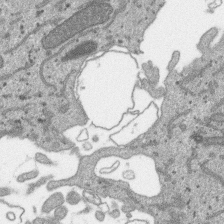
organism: Human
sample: Lung epithelial cells infected with SARS-CoV-2